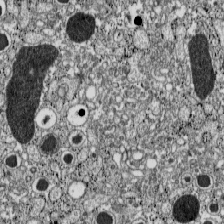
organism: C57BL Mouse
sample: Pancreatic islet